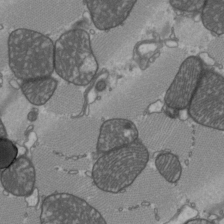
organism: C57BL Mouse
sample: Heart